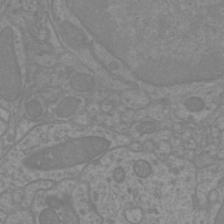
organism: Mouse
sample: Cortical neurons